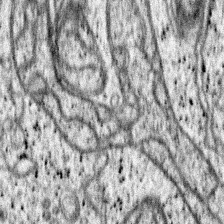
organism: Human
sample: HeLa cells